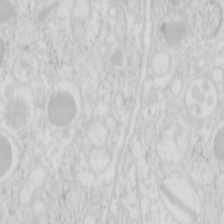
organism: Mouse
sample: Pancreas